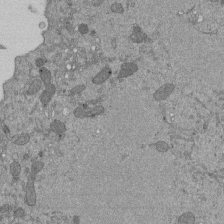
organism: Mouse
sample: ED-1 cell nuclei; centrioles